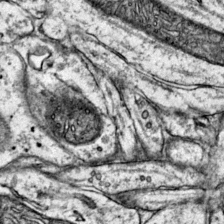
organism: Mouse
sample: Primary visual cortex